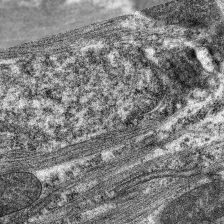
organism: C. elegans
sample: Pharynx